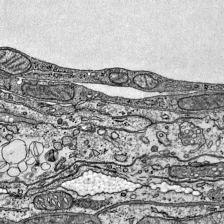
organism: Mouse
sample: Visual Cortex